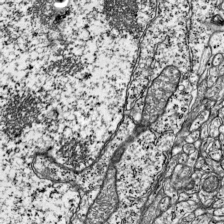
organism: Mouse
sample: Visual Cortex